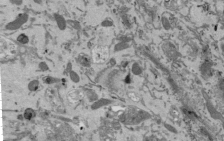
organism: Mouse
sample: ED-1 cell nuclei; centrioles